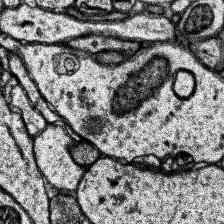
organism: Human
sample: Temporal Lobe